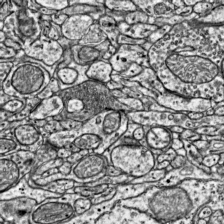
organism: Mouse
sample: Visual Cortex